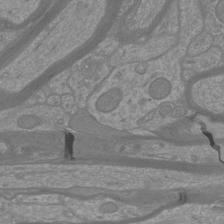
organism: Mouse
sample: Cortical neurons